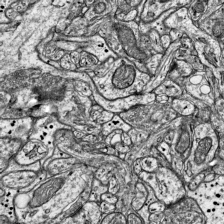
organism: Mouse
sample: Visual Cortex